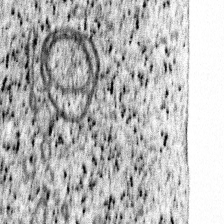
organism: Human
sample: HeLa cells